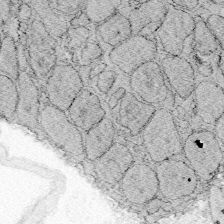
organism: Zebrafish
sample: Whole-Brain